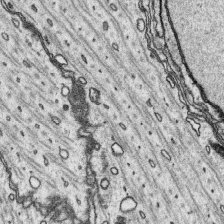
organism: Platynereis dumerilii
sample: Parapodia